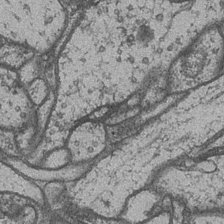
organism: Drosophila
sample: Optic medulla